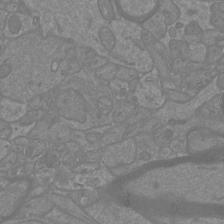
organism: Mouse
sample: Cortical neurons